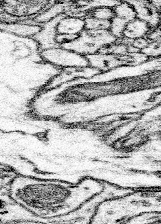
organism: Mouse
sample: Somatosensory cortex neuropil